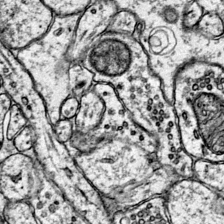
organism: Mouse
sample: Primary visual cortex